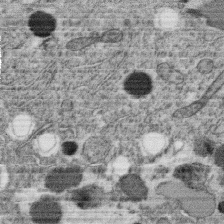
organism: C. elegans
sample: C. elegans oocyte; sperm cells